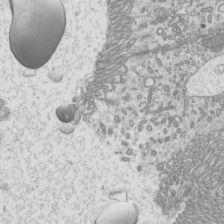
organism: Mouse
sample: Cilia; mouse epididymis